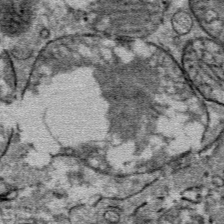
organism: Mouse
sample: Mouse Salivary gland